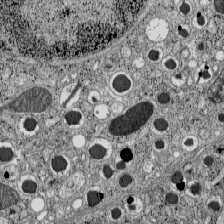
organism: C57BL Mouse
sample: Pancreatic islet